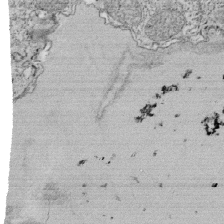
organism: Tetrahymena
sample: Cilia in tetrahymena